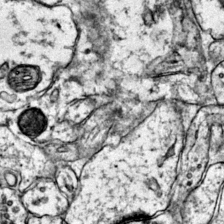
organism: Mouse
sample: Primary visual cortex